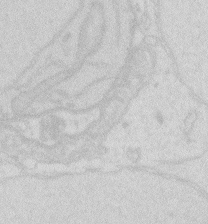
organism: Zebrafish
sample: Macrophage